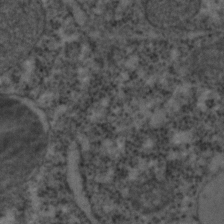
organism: C. elegans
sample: C. elegans embryo